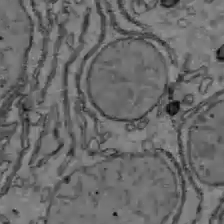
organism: C57BL Mouse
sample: Liver